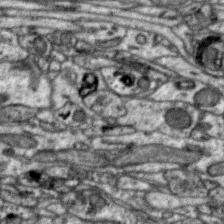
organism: Zebra finch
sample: Brain